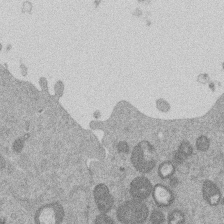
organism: Mouse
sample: Dividing mouse embryo 1 cell stage